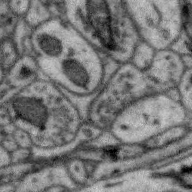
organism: Zebra finch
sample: Brain